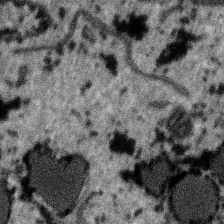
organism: Human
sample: Lung epithelial cells infected with SARS-CoV-2